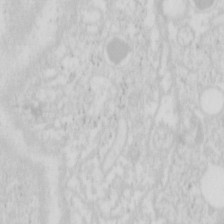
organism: Mouse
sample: Pancreas